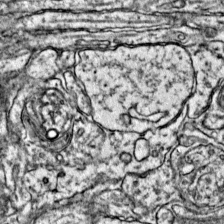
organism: Mouse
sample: Primary visual cortex